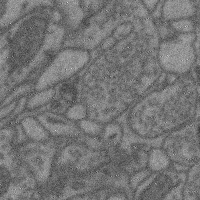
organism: Mouse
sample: Cerebral cortex